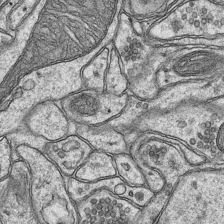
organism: Mouse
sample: CA1 Hippocampus